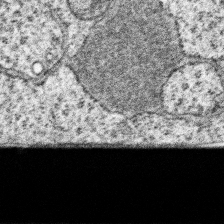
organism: Human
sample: HeLa cells